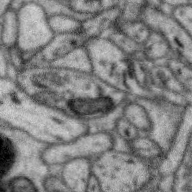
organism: Zebra finch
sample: Brain